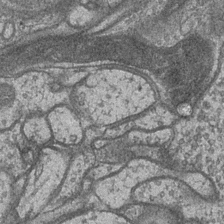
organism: Drosophila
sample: Optic medulla